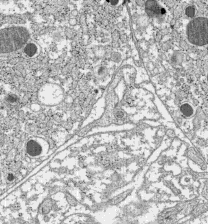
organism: C57BL Mouse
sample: Pancreatic islet